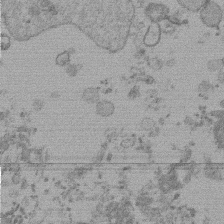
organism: Mouse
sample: Dividing mouse embryo 1 cell stage